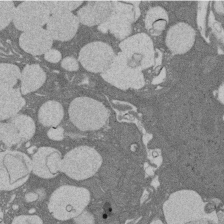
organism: Rat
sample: Salivary granule